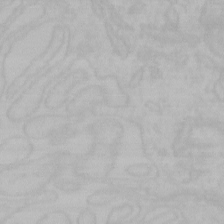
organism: Mouse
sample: Choroid plexus